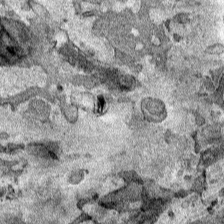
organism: Human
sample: Mitochondria in HCT116 cells